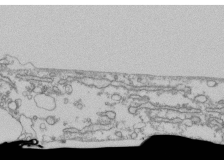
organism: Human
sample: Fibroblast cells